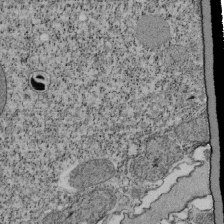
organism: Tetrahymena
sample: Cilia in tetrahymena